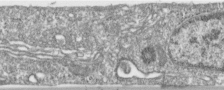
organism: Human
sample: Centriole in RPE cells